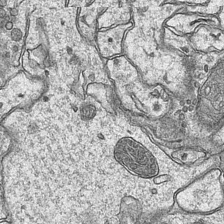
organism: Mouse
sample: CA1 Hippocampus